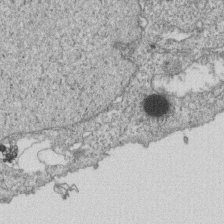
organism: Human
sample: HeLa cell HIV synapse